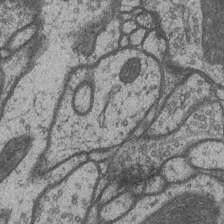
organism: Drosophila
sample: Optic medulla